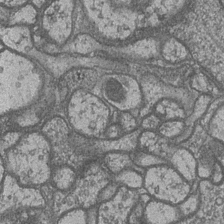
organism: Drosophila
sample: Optic medulla